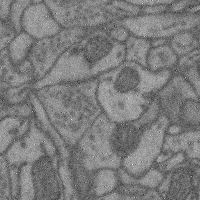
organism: Mouse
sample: Cerebral cortex